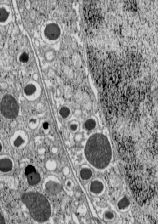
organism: C57BL Mouse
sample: Pancreatic islet